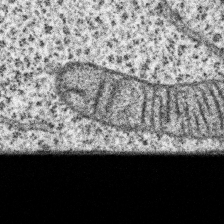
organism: Human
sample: HeLa cells